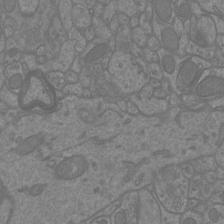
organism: Mouse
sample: Cortical neurons